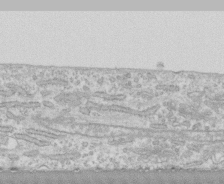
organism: Human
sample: CRL-1474